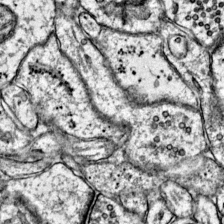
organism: Mouse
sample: Primary visual cortex